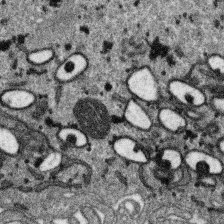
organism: Human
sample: Lung epithelial cells infected with SARS-CoV-2